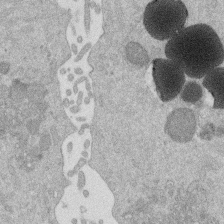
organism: Mouse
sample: Dividing mouse embryo 1 cell stage